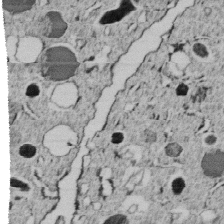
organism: C. elegans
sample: C. elegans embryo early stage